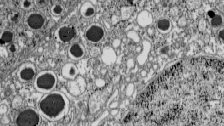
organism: C57BL Mouse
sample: Pancreatic islet